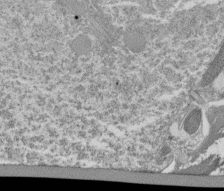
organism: Tetrahymena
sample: Cilia in tetrahymena